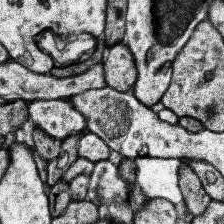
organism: Human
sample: Temporal Lobe